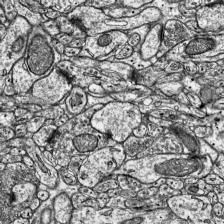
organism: Mouse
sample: Visual Cortex